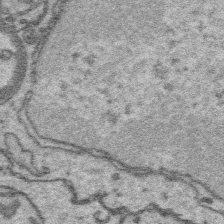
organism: Platynereis dumerilii